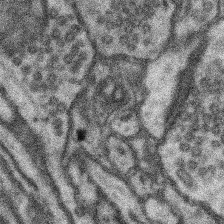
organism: Mouse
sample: Somatosensory cortex neuropil